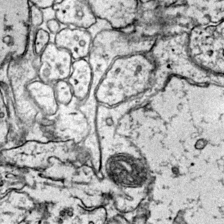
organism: Mouse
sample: Primary visual cortex